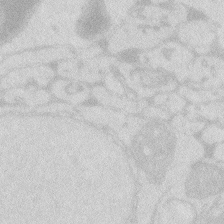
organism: Zebrafish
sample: Macrophage